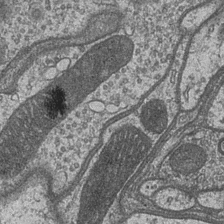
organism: Drosophila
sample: Optic medulla